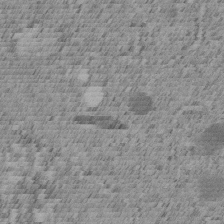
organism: C. elegans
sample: C. elegans embryo early stage